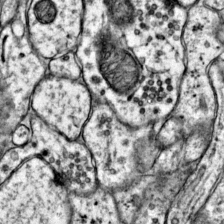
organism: Mouse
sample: Primary visual cortex